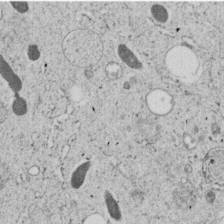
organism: C. elegans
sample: C. elegans embryo early stage